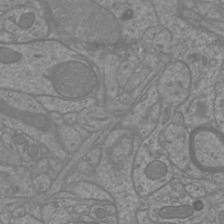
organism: Mouse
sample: Cortical neurons